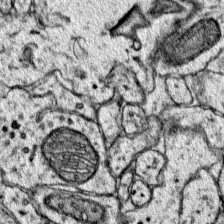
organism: Mouse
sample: Primary visual cortex